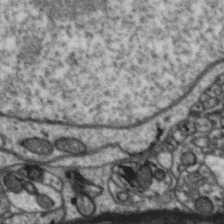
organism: Zebra finch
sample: Brain